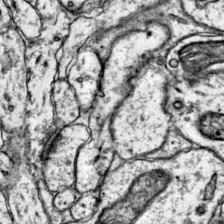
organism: Mouse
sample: Primary visual cortex